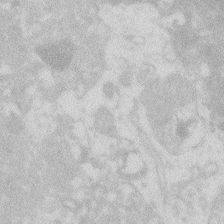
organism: Zebrafish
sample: Macrophage